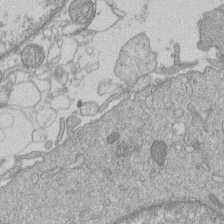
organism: Human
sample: Macrophage cells